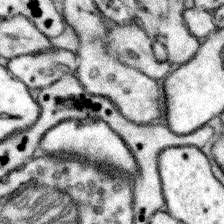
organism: Mouse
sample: Somatosensory cortex neuropil